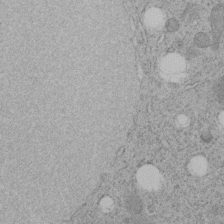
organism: C. elegans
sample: C. elegans embryo early stage